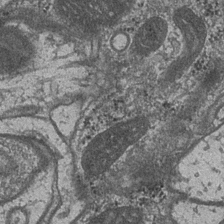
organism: Drosophila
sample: Optic medulla